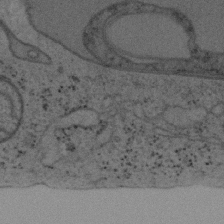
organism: Human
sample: HeLa cells